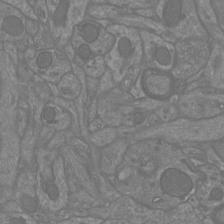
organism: Mouse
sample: Cortical neurons